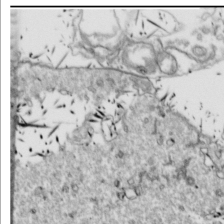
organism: Drosophila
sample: Cell division; meiosis; drosophila spermatocytes